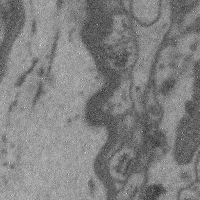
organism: Mouse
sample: Cerebral cortex